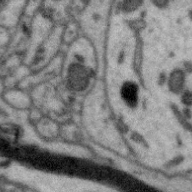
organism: Zebra finch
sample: Brain